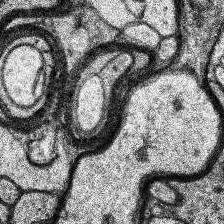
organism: Human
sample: Temporal Lobe